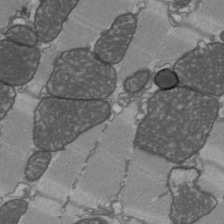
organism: C57BL Mouse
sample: Heart